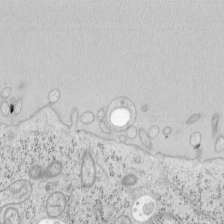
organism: Mouse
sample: OT-I killer T cells with ID8 ovarian cancer cells